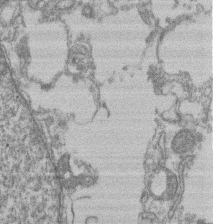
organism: Mouse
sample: T cell stromal cell synapse